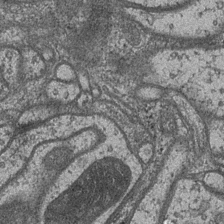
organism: Drosophila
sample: Optic medulla